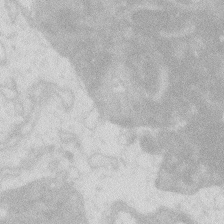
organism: Zebrafish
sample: Macrophage